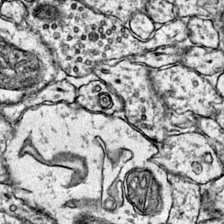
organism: Mouse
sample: Primary visual cortex